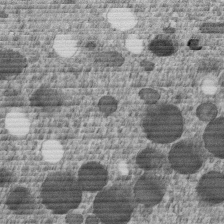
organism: C. elegans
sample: C. elegans embryo early stage